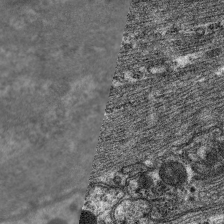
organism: C. elegans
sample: Pharynx